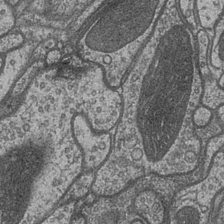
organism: Drosophila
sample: Optic medulla